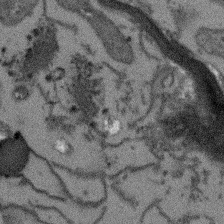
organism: Arabidopsis thaliana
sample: Root tip